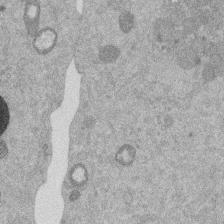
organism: Mouse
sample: Dividing mouse embryo 1 cell stage